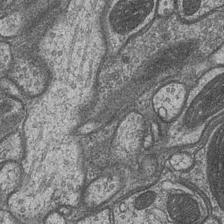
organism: Drosophila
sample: Optic medulla